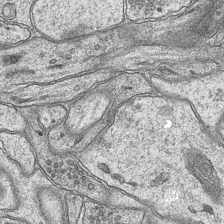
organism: Mouse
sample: CA1 Hippocampus